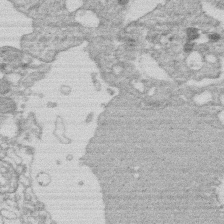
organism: Human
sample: Macrophage cells